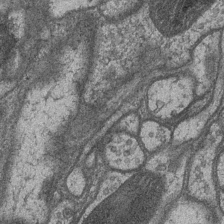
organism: Drosophila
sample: Optic medulla